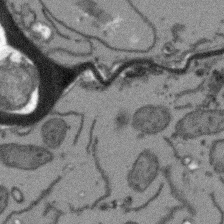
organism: Arabidopsis thaliana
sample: Root tip